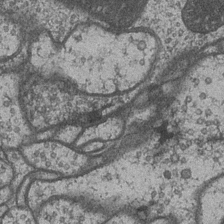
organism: Drosophila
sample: Optic medulla